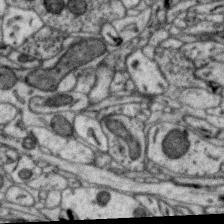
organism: Zebra finch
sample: Brain